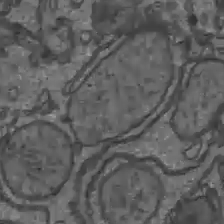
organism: C57BL Mouse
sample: Liver